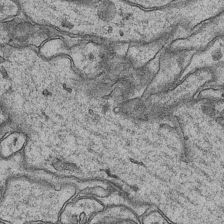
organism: Mouse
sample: CA1 Hippocampus